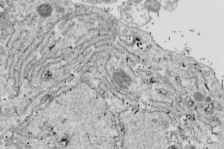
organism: Drosophila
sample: Cell division; meiosis; drosophila spermatocytes